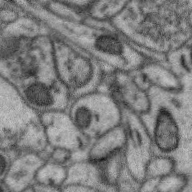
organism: Zebra finch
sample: Brain